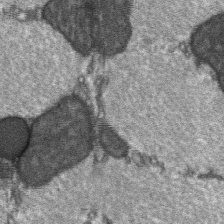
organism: C57BL Mouse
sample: Soleus